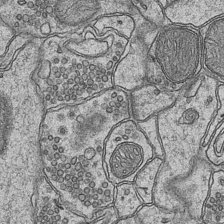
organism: Mouse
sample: CA1 Hippocampus